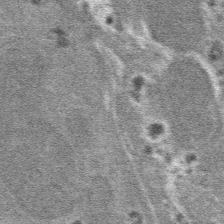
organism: Mouse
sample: Mouse hepatocytes